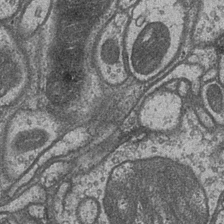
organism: Drosophila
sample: Optic medulla